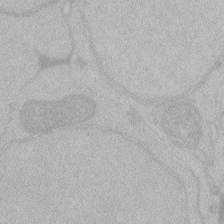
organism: Zebrafish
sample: Macrophage infected with Toxoplasma gondii